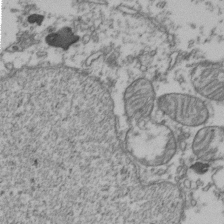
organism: Human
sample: Activated Jurkat CD4+ T cells